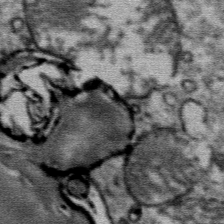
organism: Mouse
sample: Mouse Salivary gland